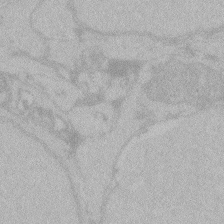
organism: Zebrafish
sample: Macrophage infected with Toxoplasma gondii